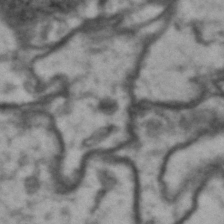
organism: Drosophila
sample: Brain